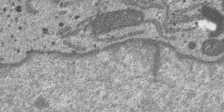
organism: Human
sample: Lung epithelial cells infected with SARS-CoV-2